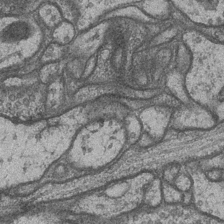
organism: Drosophila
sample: Optic medulla